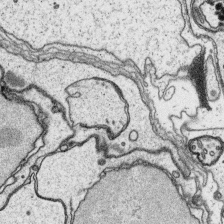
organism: Platynereis dumerilii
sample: Parapodia